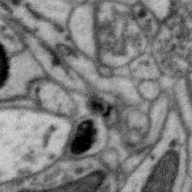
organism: Zebra finch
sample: Brain